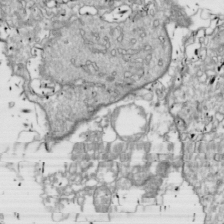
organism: Drosophila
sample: Cell division; meiosis; drosophila spermatocytes